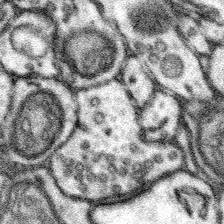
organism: Mouse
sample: Somatosensory cortex neuropil